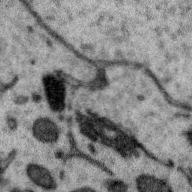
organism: Zebra finch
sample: Brain